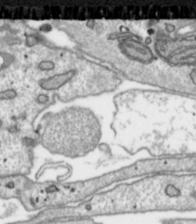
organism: Toxoplasma gondii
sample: Parasites in a vacuole inside a host cell